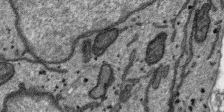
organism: Human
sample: Lung epithelial cells, uninfected (mock) control